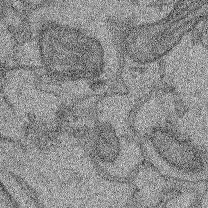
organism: Human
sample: HeLa cells